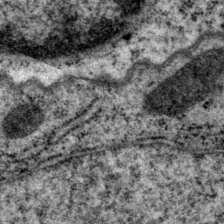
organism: P. pacificus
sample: Pharynx